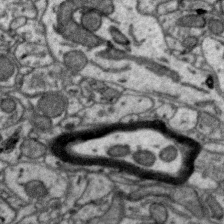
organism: Zebra finch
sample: Brain